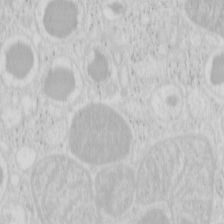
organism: Mouse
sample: Pancreas